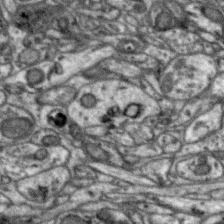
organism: Zebra finch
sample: Brain